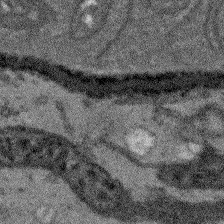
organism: Arabidopsis thaliana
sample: Root tip